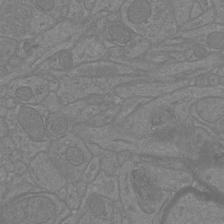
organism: Mouse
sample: Cortical neurons